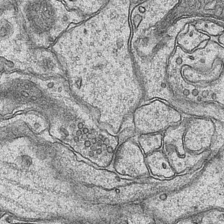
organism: Mouse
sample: CA1 Hippocampus